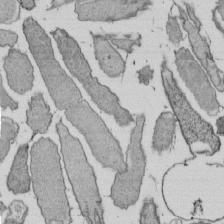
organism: E. coli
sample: Bacterial nucleoid